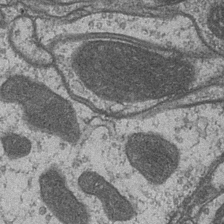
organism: Drosophila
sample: Optic medulla